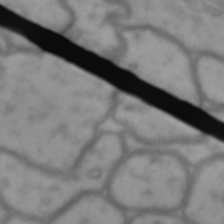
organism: Drosophila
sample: Brain